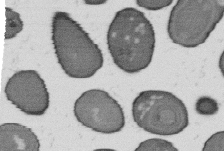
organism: B. subtilis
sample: Bacterial spore